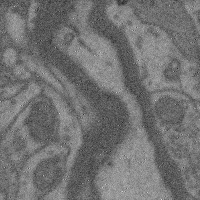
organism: Mouse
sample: Cerebral cortex